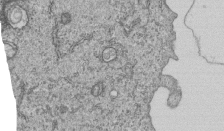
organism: Human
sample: MDA-MB-231 cells